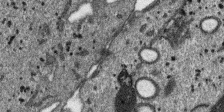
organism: Human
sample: Lung epithelial cells infected with SARS-CoV-2